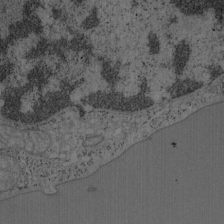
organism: Mouse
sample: OT-I killer T cells with ID8 ovarian cancer cells